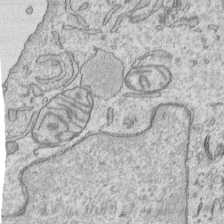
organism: Human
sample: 1205lu cells